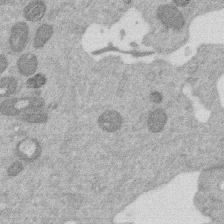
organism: Mouse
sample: Dividing mouse embryo 1 cell stage